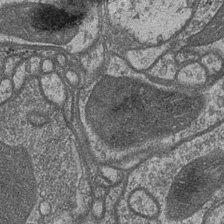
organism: Drosophila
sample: Optic medulla